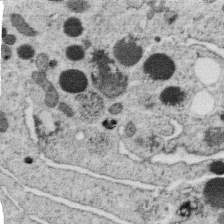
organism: C. elegans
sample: C. elegans oocyte; sperm cells